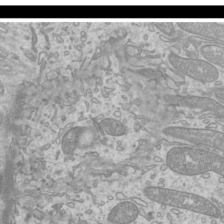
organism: Mouse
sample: Cilia; mouse epididymis